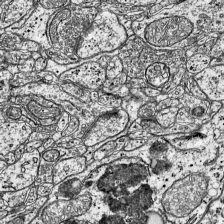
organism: Mouse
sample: Visual Cortex